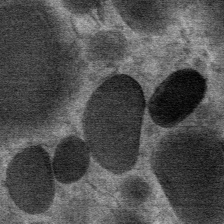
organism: Mouse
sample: Mouse Salivary gland